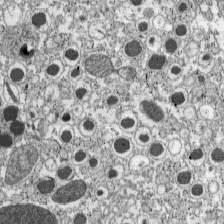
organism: C57BL Mouse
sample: Pancreatic islet